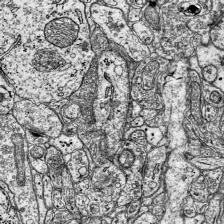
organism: Mouse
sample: Visual Cortex